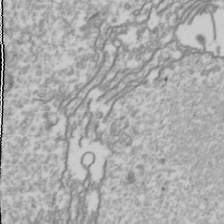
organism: Drosophila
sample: Cell division; meiosis; drosophila spermatocytes